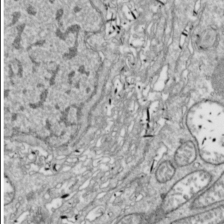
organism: Drosophila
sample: Cell division; meiosis; drosophila spermatocytes